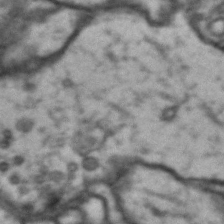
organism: Drosophila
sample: Brain